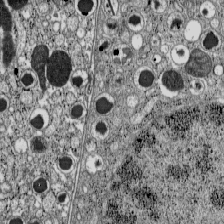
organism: C57BL Mouse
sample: Pancreatic islet